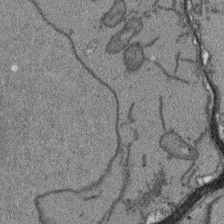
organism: Arabidopsis thaliana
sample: Root tip